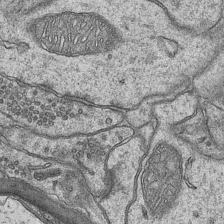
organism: Mouse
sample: CA1 Hippocampus